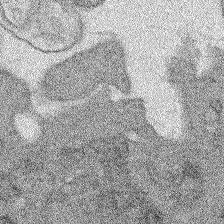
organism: Human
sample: HeLa cells